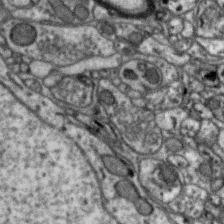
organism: Zebra finch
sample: Brain